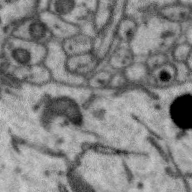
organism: Zebra finch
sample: Brain